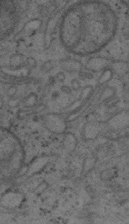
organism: Human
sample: HeLa cells